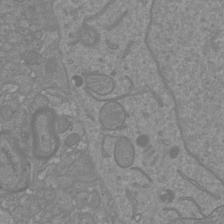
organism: Mouse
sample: Cortical neurons